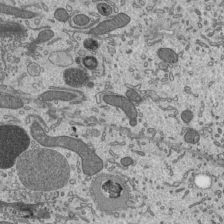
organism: Mouse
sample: Mouse epididymis efferent ductule cilia